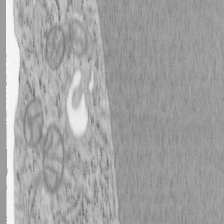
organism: Human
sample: HeLa cells